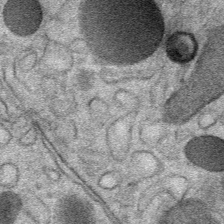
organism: Mouse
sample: Mouse Salivary gland